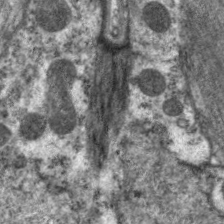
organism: C. elegans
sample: Pharynx